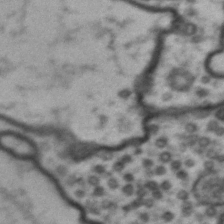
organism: Drosophila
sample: Brain